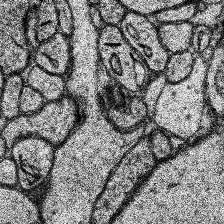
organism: Human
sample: Temporal Lobe